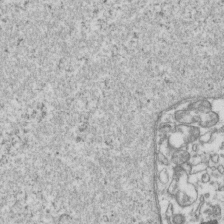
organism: Human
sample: Activated Jurkat CD4+ T cells